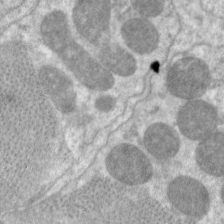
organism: C. elegans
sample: Pharynx